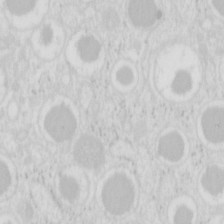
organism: Mouse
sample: Pancreas